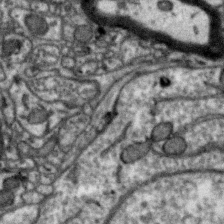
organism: Zebra finch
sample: Brain